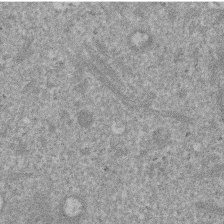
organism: Mouse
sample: Dividing mouse embryo 1 cell stage